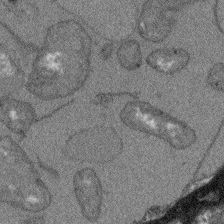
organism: Arabidopsis thaliana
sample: Root tip